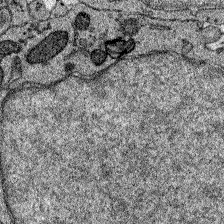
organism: Zebrafish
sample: Larval olfactory bulb